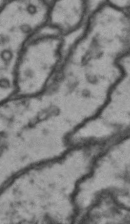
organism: Drosophila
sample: Brain